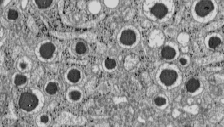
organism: C57BL Mouse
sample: Pancreatic islet